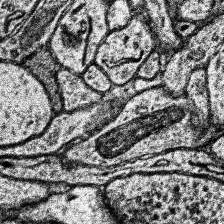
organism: Human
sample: Temporal Lobe